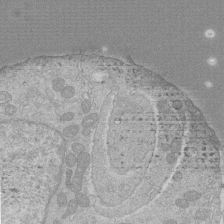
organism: Human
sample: Macrophage cells